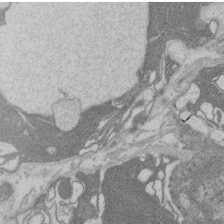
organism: Rat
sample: Salivary granule